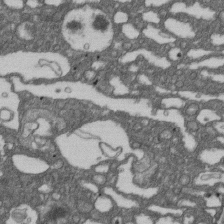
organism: Drosophila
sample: Nephrocyte